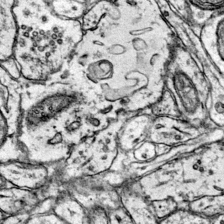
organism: Mouse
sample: Primary visual cortex